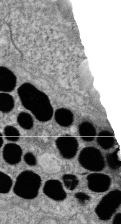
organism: Zebrafish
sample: Cilia; retinal pigment epithelium